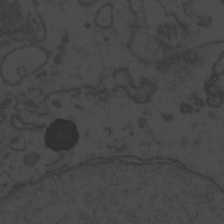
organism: Zebrafish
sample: Macrophage infected with Toxoplasma gondii